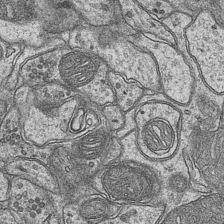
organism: Mouse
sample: CA1 Hippocampus